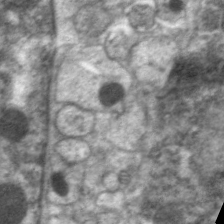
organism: C. elegans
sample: Pharynx